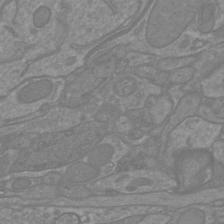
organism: Mouse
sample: Cortical neurons